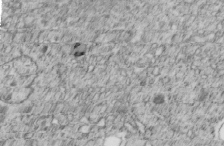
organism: C. elegans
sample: C. elegans embryo early stage